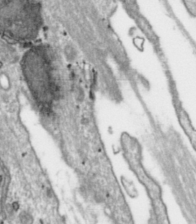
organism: Toxoplasma gondii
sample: Parasites in a vacuole inside a host cell